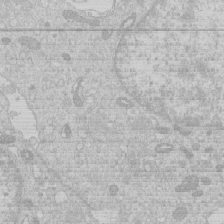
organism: Human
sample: Macrophage cells